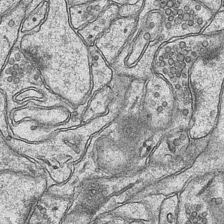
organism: Mouse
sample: CA1 Hippocampus